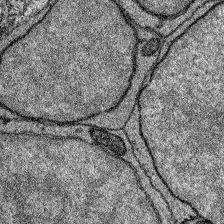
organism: Zebrafish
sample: Larval olfactory bulb